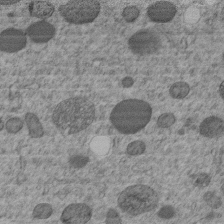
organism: C. elegans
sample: C. elegans embryo early stage